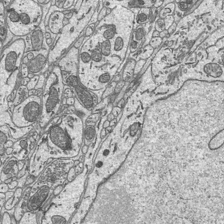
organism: Mouse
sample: Suprachiasmatic nucleus